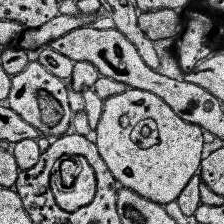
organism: Human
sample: Temporal Lobe